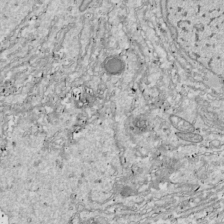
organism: Drosophila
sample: Cell division; meiosis; drosophila spermatocytes